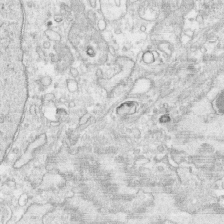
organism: Human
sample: CRL-1474